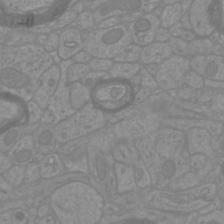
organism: Mouse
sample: Cortical neurons